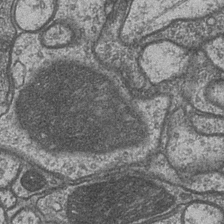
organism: Drosophila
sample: Optic medulla